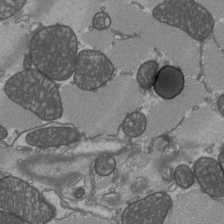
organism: C57BL Mouse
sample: Heart